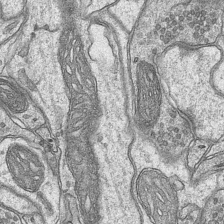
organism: Mouse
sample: CA1 Hippocampus